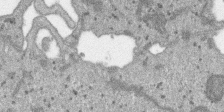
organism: Human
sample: Lung epithelial cells infected with SARS-CoV-2